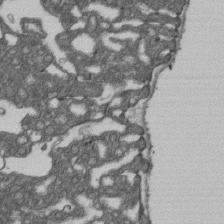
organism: Drosophila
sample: Nephrocyte